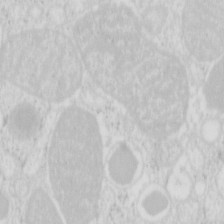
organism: Mouse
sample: Pancreas